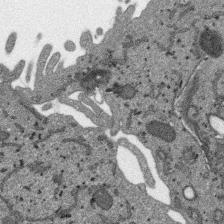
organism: Human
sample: Lung epithelial cells infected with SARS-CoV-2